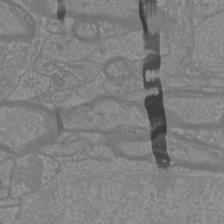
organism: Mouse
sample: Cortical neurons